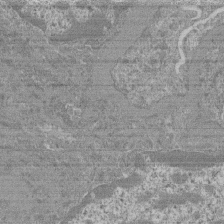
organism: Mouse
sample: Glomerulus